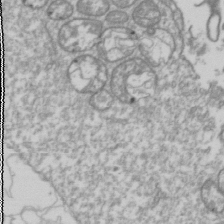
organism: Drosophila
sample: Cell division; meiosis; drosophila spermatocytes